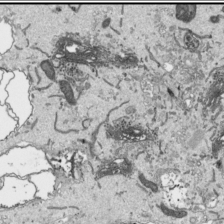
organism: Human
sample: Mitochondria in HCT116 cells